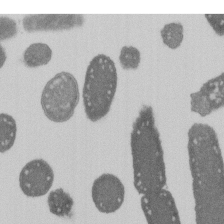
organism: E. coli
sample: Bacterial nucleoid